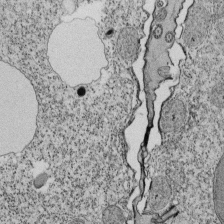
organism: Tetrahymena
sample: Cilia in tetrahymena